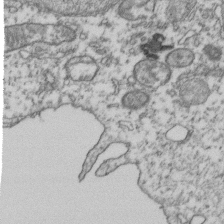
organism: Human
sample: Activated Jurkat CD4+ T cells